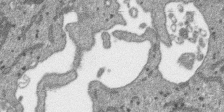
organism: Human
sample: Lung epithelial cells infected with SARS-CoV-2